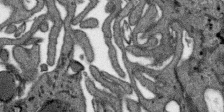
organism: Human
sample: Lung epithelial cells, uninfected (mock) control